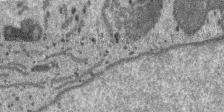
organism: Human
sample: Lung epithelial cells infected with SARS-CoV-2